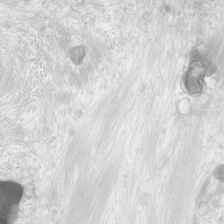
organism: Human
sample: Neocortex